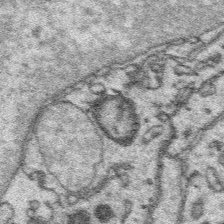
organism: Platynereis dumerilii